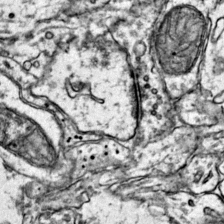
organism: Mouse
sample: Primary visual cortex